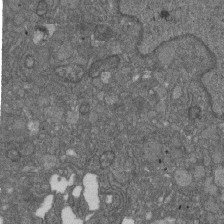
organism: Drosophila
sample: Nephrocyte